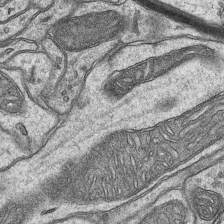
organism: Mouse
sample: CA1 Hippocampus